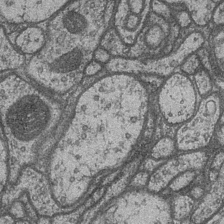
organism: Drosophila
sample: Optic medulla